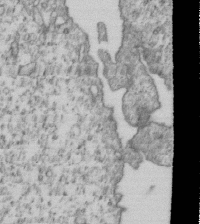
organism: Human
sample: MDA-MB-231 cells